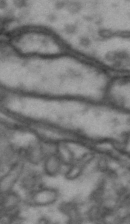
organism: Drosophila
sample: Brain